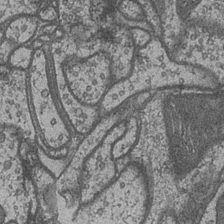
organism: Drosophila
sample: Optic medulla